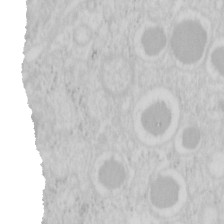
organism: Mouse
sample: Pancreas